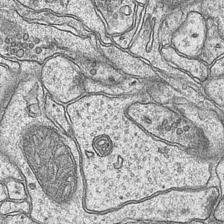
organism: Mouse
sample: CA1 Hippocampus